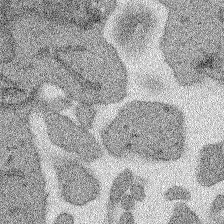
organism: Human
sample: HeLa cells